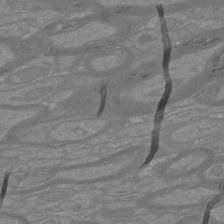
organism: Mouse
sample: Cortical neurons